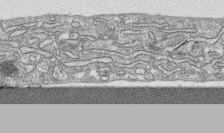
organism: Human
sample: CRL-1474